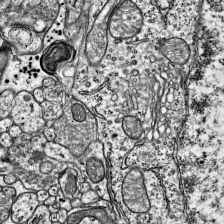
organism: Mouse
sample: Visual Cortex